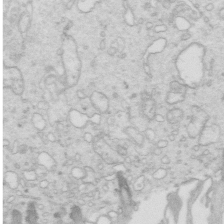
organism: Mouse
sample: Multiciliated cells